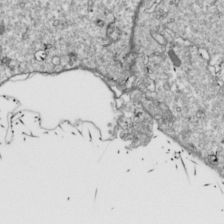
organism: Drosophila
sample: Cell division; meiosis; drosophila spermatocytes